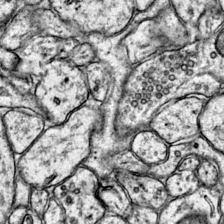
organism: Mouse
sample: Primary visual cortex